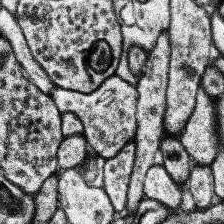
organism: Human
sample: Temporal Lobe